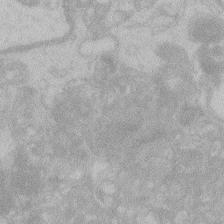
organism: Zebrafish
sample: Macrophage infected with Toxoplasma gondii